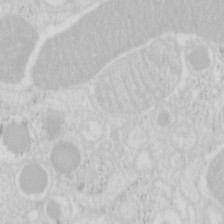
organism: Mouse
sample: Pancreas